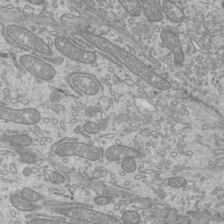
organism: Mouse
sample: Cilia; mouse epididymis